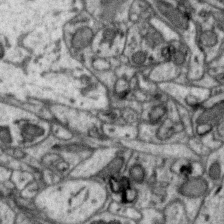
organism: Zebra finch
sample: Brain